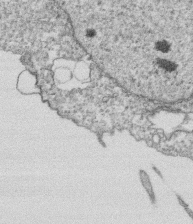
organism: Human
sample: HeLa cell HIV synapse